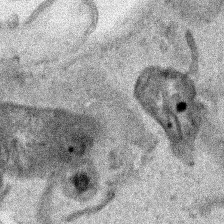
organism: Human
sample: Mitochondria in HCT116 cells